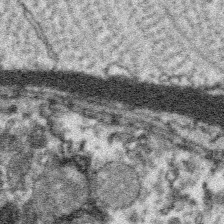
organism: Platynereis dumerilii